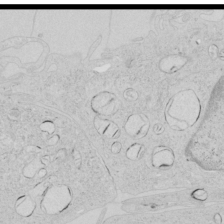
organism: Human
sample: Mitochondria in HCT116 cells